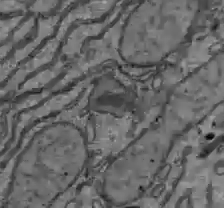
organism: C57BL Mouse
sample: Liver